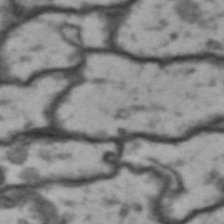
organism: Drosophila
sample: Brain